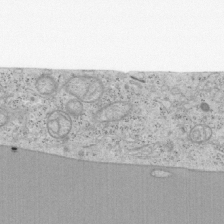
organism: Human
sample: HeLa cells